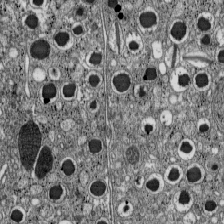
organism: C57BL Mouse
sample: Pancreatic islet